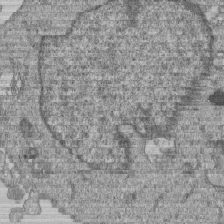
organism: Human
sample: MDA-MB-231 cells